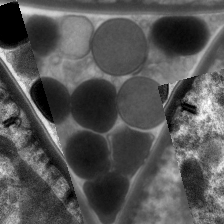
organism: C. elegans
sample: Pharynx